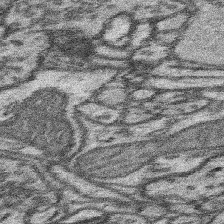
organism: Mouse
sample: Somatosensory cortex neuropil